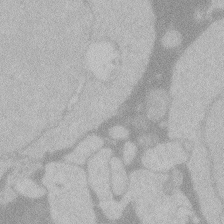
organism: Zebrafish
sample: Macrophage infected with Toxoplasma gondii